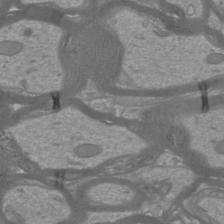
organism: Mouse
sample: Cortical neurons